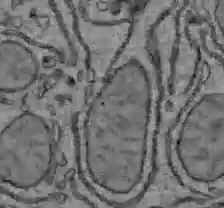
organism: C57BL Mouse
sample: Liver